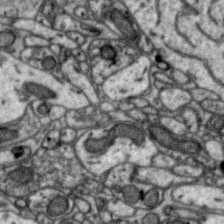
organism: Zebra finch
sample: Brain